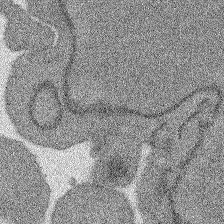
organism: Human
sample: HeLa cells